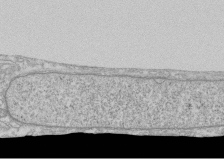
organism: Human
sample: CRL-1474